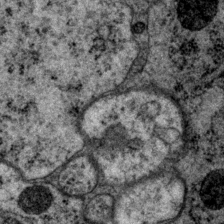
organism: P. pacificus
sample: Pharynx